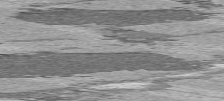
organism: C57BL Mouse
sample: Heart